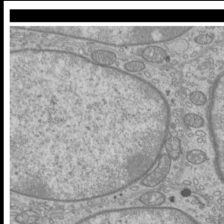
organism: Mouse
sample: Cilia; mouse epididymis